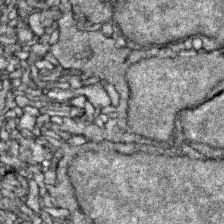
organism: Zebrafish